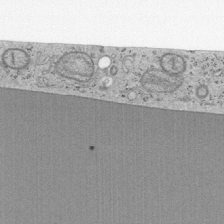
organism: Human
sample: HeLa cells